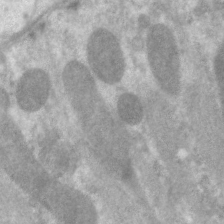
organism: C. elegans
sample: Pharynx